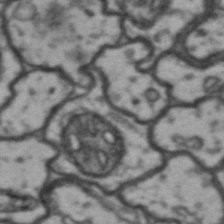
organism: Drosophila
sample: Brain